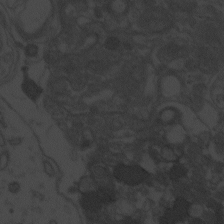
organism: Zebrafish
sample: Macrophage infected with Toxoplasma gondii